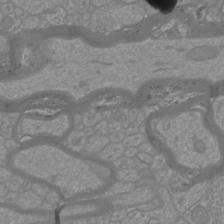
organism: Mouse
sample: Cortical neurons